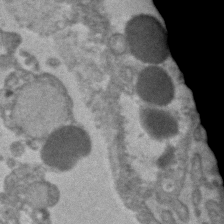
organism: Human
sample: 1205lu cells